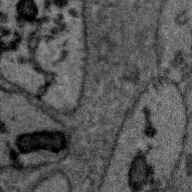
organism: Zebra finch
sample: Brain